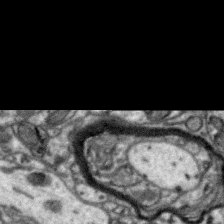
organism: Zebra finch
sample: Brain